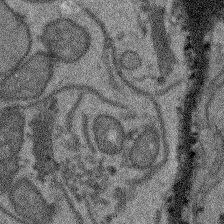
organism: Arabidopsis thaliana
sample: Root tip